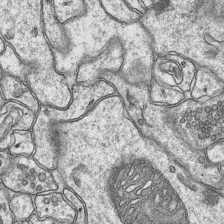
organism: Mouse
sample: CA1 Hippocampus